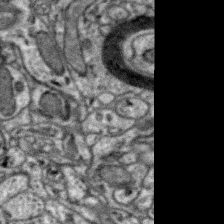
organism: Zebra finch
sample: Brain